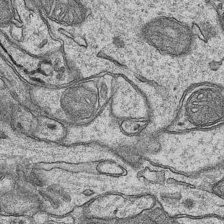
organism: Mouse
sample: CA1 Hippocampus